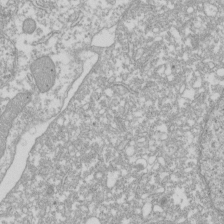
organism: Xenopus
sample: Cilia; centrioles in frog embryo cells